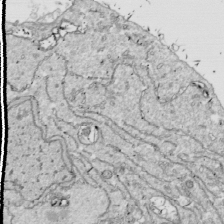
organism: Drosophila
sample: Cell division; meiosis; drosophila spermatocytes